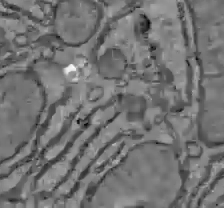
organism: C57BL Mouse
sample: Liver